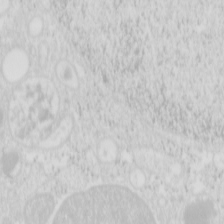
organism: Mouse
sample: Pancreas